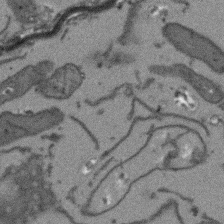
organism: Arabidopsis thaliana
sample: Root tip